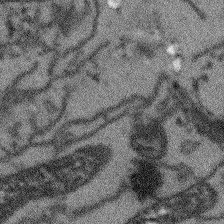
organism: Arabidopsis thaliana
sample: Root tip